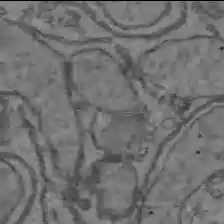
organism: C57BL Mouse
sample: Liver